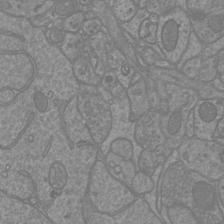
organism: Mouse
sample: Cortical neurons